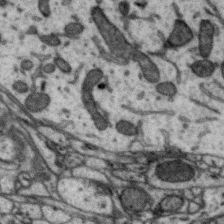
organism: Zebra finch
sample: Brain